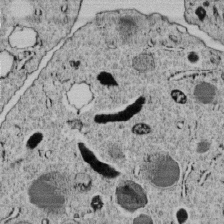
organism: C. elegans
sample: C. elegans embryo early stage